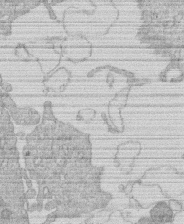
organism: Human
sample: Macrophage cells